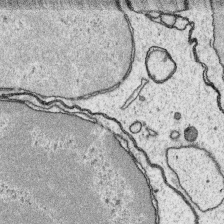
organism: Platynereis dumerilii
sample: Parapodia